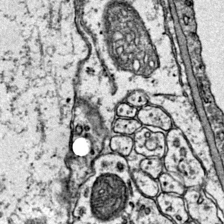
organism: Mouse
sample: Primary visual cortex